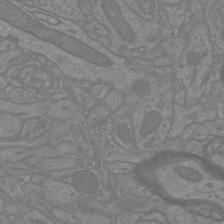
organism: Mouse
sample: Cortical neurons